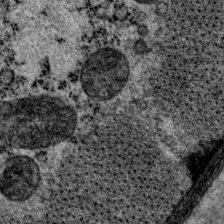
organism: P. pacificus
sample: Pharynx